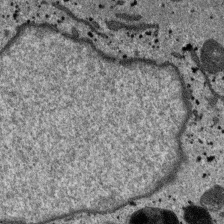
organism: Human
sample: Lung epithelial cells, uninfected (mock) control